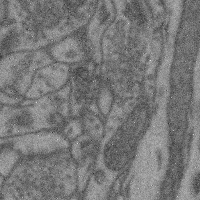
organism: Mouse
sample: Cerebral cortex